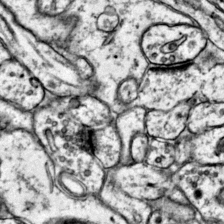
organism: Mouse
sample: Primary visual cortex